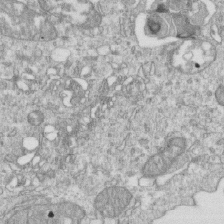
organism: Mouse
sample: Activated OT-1 CD8+ T cells